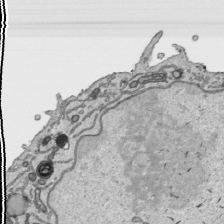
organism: Human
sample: Mitochondria in HCT116 cells